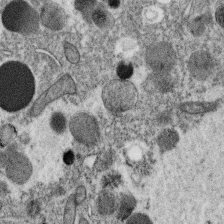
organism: C. elegans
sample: C. elegans oocyte; sperm cells